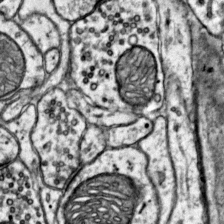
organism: Mouse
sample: Primary visual cortex